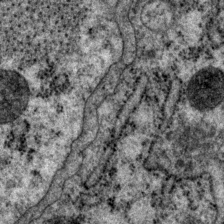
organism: P. pacificus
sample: Pharynx